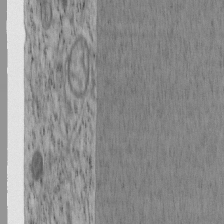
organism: Human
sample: HeLa cells